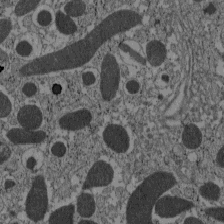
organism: C57BL Mouse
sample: Pancreatic islet